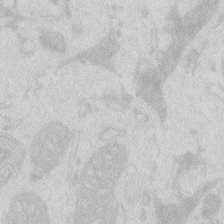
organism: Zebrafish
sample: Macrophage